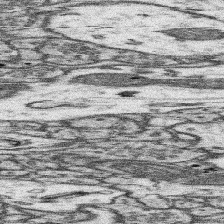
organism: Mouse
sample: Somatosensory cortex neuropil